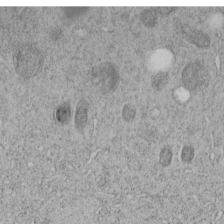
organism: C. elegans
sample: C. elegans embryo early stage